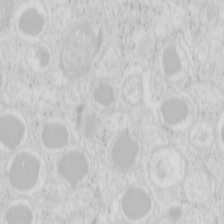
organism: Mouse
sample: Pancreas